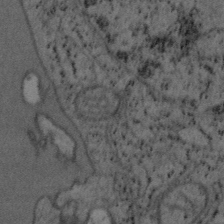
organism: Human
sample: HeLa cells